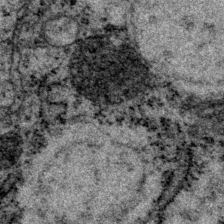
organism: P. pacificus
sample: Pharynx